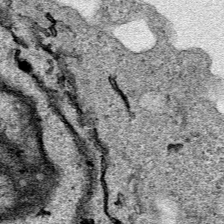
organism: Human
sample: Mitochondria in HCT116 cells